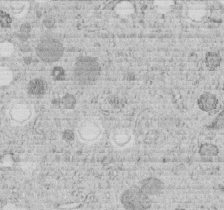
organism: C. elegans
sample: C. elegans embryo early stage